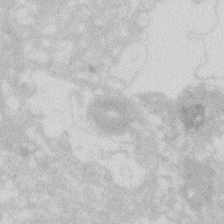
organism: Zebrafish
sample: Macrophage